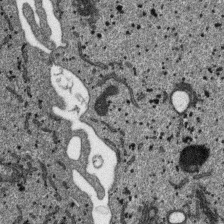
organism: Human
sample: Lung epithelial cells infected with SARS-CoV-2